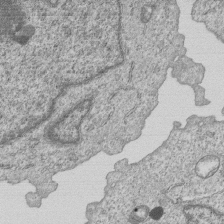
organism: Human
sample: MDA-MB-231 cells